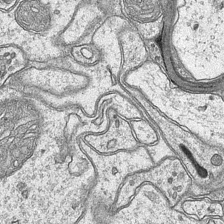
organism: Mouse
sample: CA1 Hippocampus